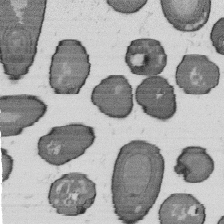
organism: B. subtilis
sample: Bacterial spore